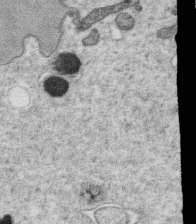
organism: C. elegans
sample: C. elegans oocyte; sperm cells